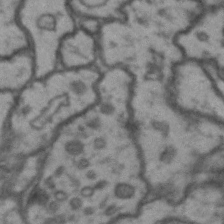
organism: Drosophila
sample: Brain